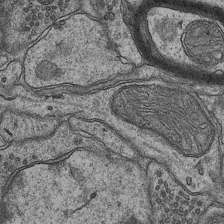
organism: Mouse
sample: CA1 Hippocampus